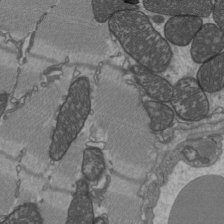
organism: C57BL Mouse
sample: Heart